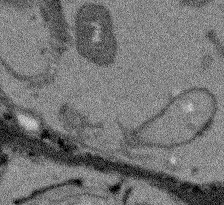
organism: Arabidopsis thaliana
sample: Root tip